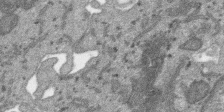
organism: Human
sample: Lung epithelial cells infected with SARS-CoV-2